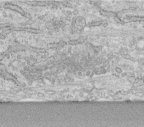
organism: Human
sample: Centriole in fibroblast cells